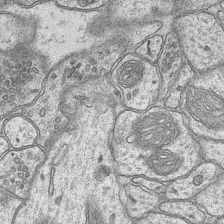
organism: Mouse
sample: CA1 Hippocampus